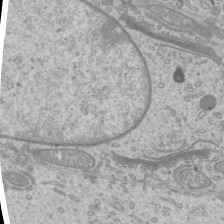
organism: Mouse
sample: Cilia; mouse epididymis